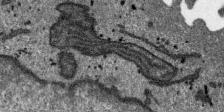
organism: Human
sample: Lung epithelial cells, uninfected (mock) control